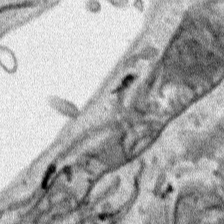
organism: Human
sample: Mitochondria in HCT116 cells